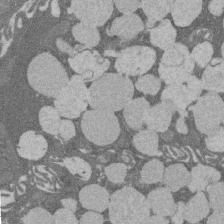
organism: Rat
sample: Salivary granule